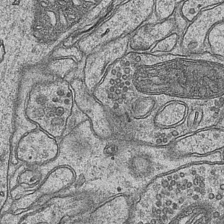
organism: Mouse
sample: CA1 Hippocampus